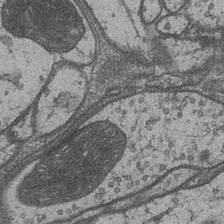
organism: Drosophila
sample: Optic medulla